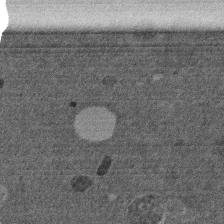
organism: Mouse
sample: Dividing mouse embryo 1 cell stage